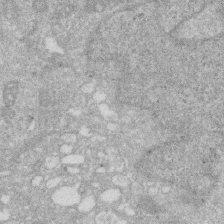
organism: Human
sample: HIV infected U937 cells